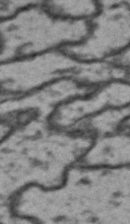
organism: Drosophila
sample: Brain